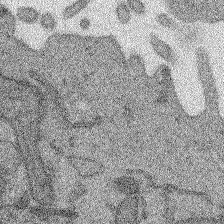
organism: Human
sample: HeLa cells